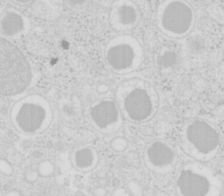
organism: Mouse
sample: Pancreas